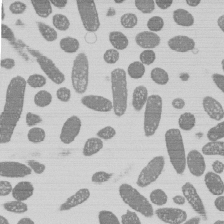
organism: E. coli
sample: Bacterial nucleoid